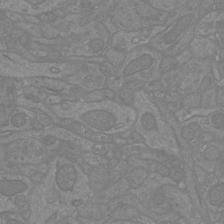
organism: Mouse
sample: Cortical neurons